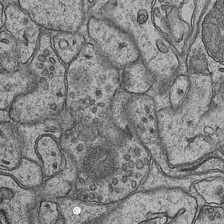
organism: Mouse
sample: CA1 Hippocampus